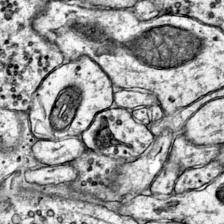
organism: Mouse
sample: Primary visual cortex